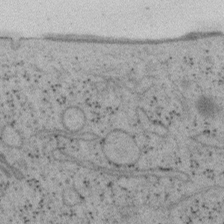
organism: Human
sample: HeLa cells